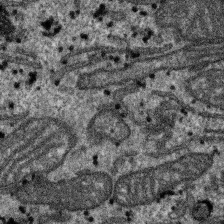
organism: Human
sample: Lung epithelial cells infected with SARS-CoV-2